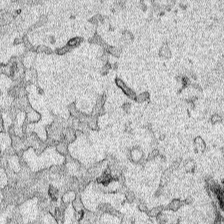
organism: Human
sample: Mitochondria in HCT116 cells